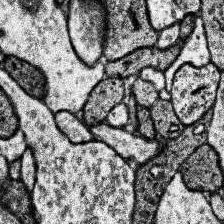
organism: Human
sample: Temporal Lobe